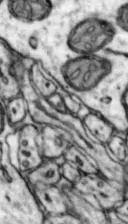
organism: Mouse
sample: Nucleus accumbens